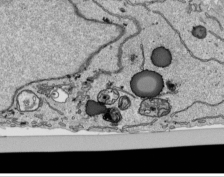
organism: Human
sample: Mitochondria in HCT116 cells